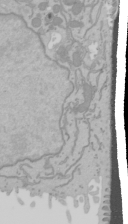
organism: Mouse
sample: Cancer cell death in ED-1 cells